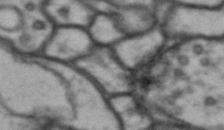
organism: Drosophila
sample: Brain